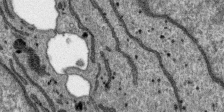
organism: Human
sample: Lung epithelial cells, uninfected (mock) control